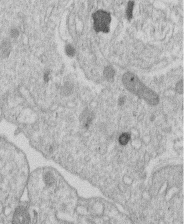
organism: Human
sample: Macrophage cells